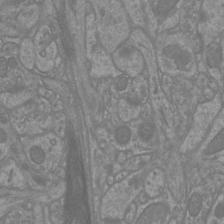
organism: Mouse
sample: Cortical neurons